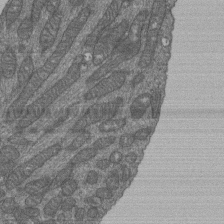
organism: Human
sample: Retinal organoid Rod and Cone cells